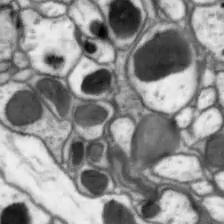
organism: Drosophila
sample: Optic lobe